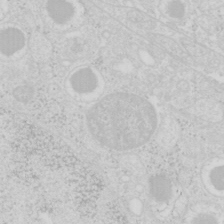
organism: Mouse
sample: Pancreas